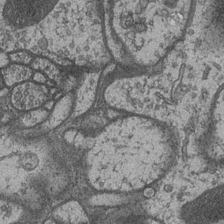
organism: Drosophila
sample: Optic medulla